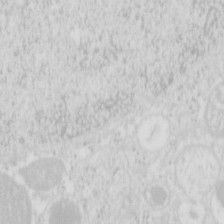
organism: Mouse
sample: Pancreas